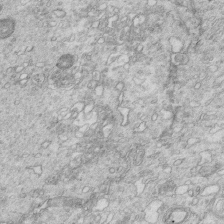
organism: Mouse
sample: Multiciliated cells